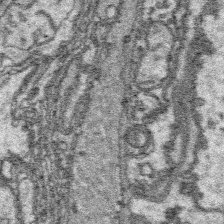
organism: Platynereis dumerilii